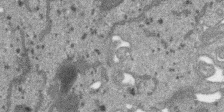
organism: Human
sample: Lung epithelial cells infected with SARS-CoV-2